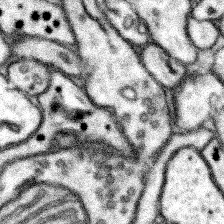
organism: Mouse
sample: Somatosensory cortex neuropil